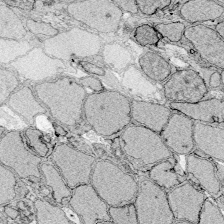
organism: Zebrafish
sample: Whole-Brain